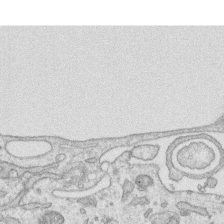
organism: Human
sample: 1205lu cells